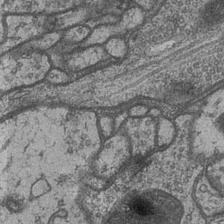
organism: Drosophila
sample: Optic medulla